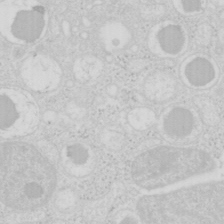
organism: Mouse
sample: Pancreas